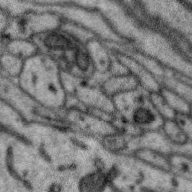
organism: Zebra finch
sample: Brain